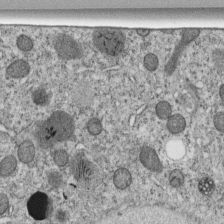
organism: C. elegans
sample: C. elegans embryo early stage